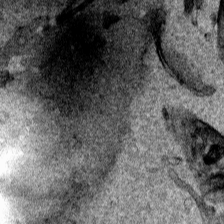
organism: Human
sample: Mitochondria in HCT116 cells